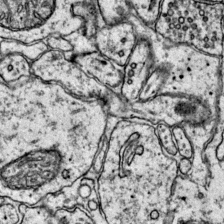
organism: Mouse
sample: Primary visual cortex